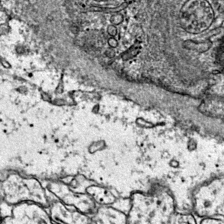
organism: Mouse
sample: Primary visual cortex